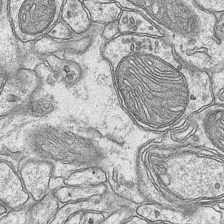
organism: Mouse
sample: CA1 Hippocampus